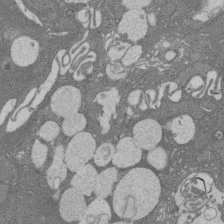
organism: Rat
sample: Salivary granule